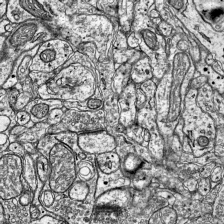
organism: Mouse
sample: Visual Cortex